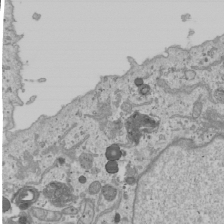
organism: Human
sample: Mitochondria in U2OS cells